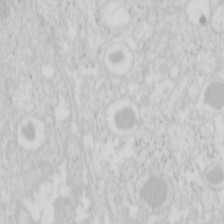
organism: Mouse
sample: Pancreas